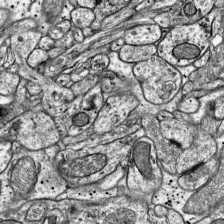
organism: Mouse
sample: Visual Cortex